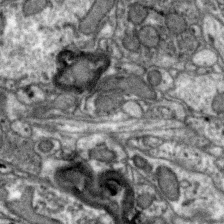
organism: Zebra finch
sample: Brain